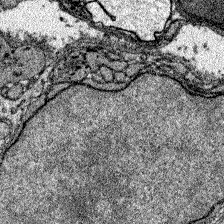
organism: Zebrafish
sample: Larval olfactory bulb